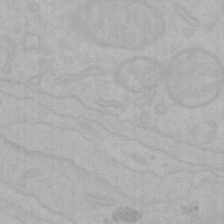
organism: Mouse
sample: Choroid plexus